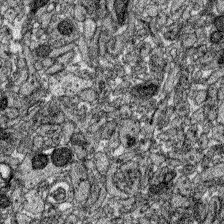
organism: Zebrafish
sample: Larval olfactory bulb